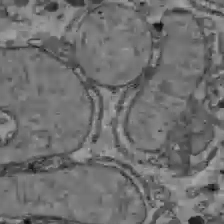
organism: C57BL Mouse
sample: Liver